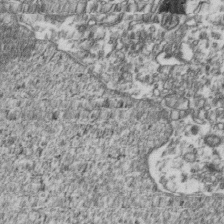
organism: Human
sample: Activated Jurkat CD4+ T cells